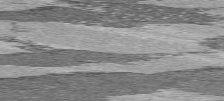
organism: C57BL Mouse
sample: Heart